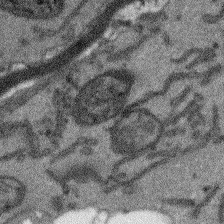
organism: Arabidopsis thaliana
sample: Root tip